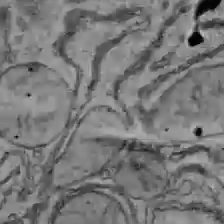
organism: C57BL Mouse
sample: Liver